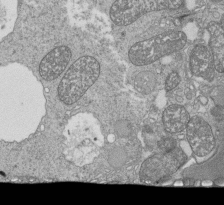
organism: Tetrahymena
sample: Cilia in tetrahymena